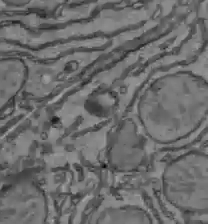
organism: C57BL Mouse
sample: Liver